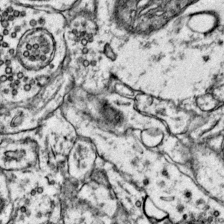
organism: Mouse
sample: Primary visual cortex